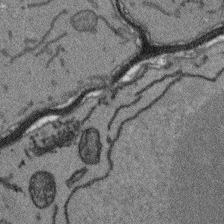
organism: Arabidopsis thaliana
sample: Root tip